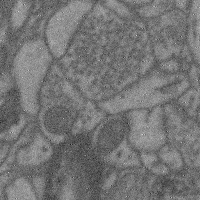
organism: Mouse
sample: Cerebral cortex